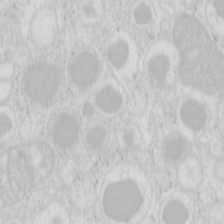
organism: Mouse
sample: Pancreas